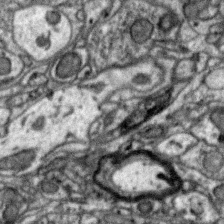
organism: Zebra finch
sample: Brain